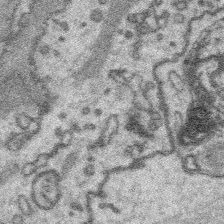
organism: Platynereis dumerilii